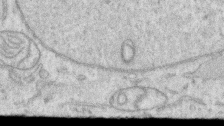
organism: Human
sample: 1205lu cells